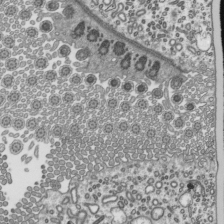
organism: Mouse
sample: Mouse epididymis efferent ductule cilia